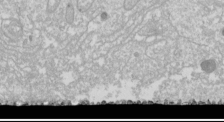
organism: Drosophila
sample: Cell division; meiosis; drosophila spermatocytes